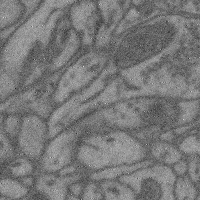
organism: Mouse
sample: Cerebral cortex